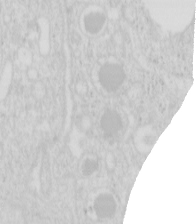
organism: Mouse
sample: Pancreas